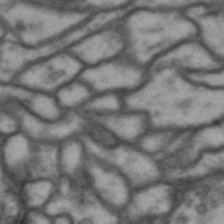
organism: Drosophila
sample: Brain